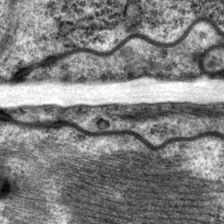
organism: P. pacificus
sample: Pharynx